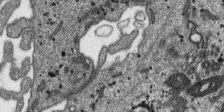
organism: Human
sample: Lung epithelial cells infected with SARS-CoV-2